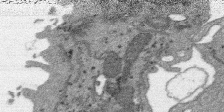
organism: Human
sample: Lung epithelial cells infected with SARS-CoV-2